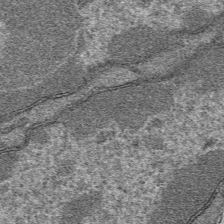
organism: Mouse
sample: Mouse hepatocytes